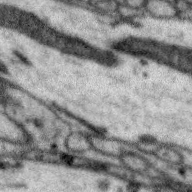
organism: Zebra finch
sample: Brain